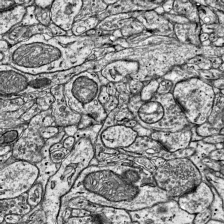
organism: Mouse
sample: Visual Cortex